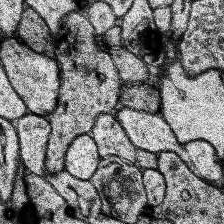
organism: Human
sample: Temporal Lobe